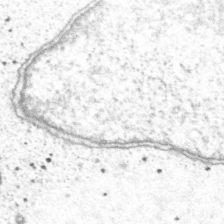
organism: Human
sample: HeLa cells